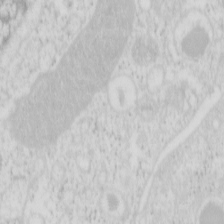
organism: Mouse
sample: Pancreas